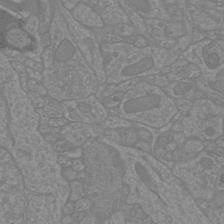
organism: Mouse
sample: Cortical neurons